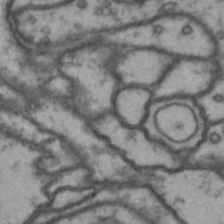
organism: Drosophila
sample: Brain